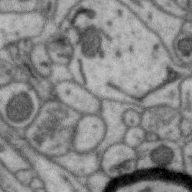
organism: Zebra finch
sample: Brain